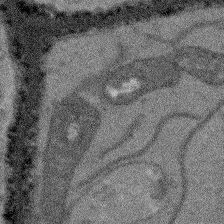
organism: Arabidopsis thaliana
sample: Root tip